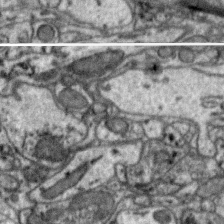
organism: Zebra finch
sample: Brain